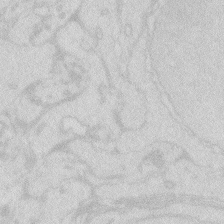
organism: Zebrafish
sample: Macrophage